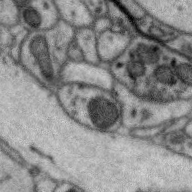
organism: Zebra finch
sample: Brain